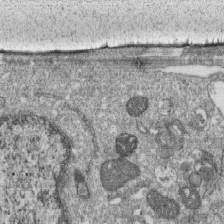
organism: African green monkey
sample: Vero E6 cells infected with SARS-CoV-2